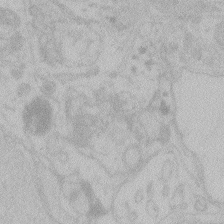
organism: Zebrafish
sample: Macrophage infected with Toxoplasma gondii